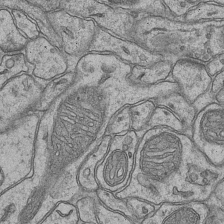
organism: Mouse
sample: CA1 Hippocampus